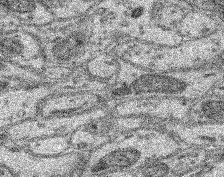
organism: Mouse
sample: Retina